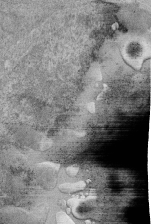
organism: Human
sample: Retinal organoid Rod and Cone cells